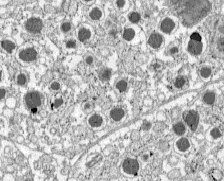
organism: C57BL Mouse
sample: Pancreatic islet